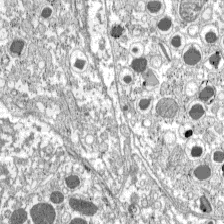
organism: C57BL Mouse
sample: Pancreatic islet